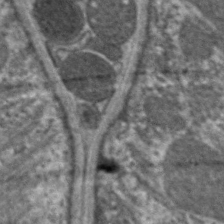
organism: C. elegans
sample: Pharynx